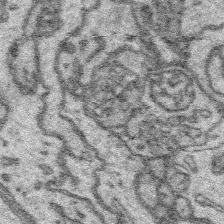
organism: Platynereis dumerilii